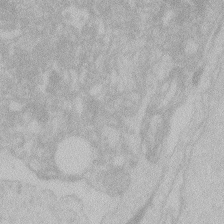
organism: Zebrafish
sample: Macrophage infected with Toxoplasma gondii